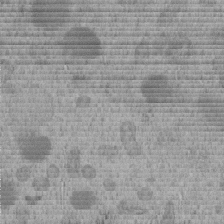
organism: C. elegans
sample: C. elegans embryo early stage